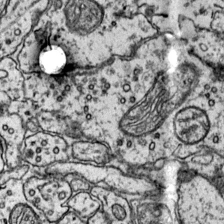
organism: Mouse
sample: Primary visual cortex